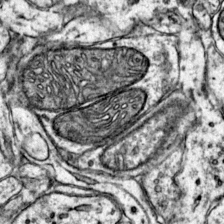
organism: Mouse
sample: Primary visual cortex